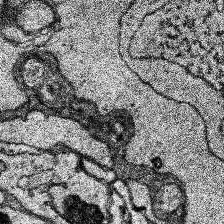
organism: Human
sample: Temporal Lobe